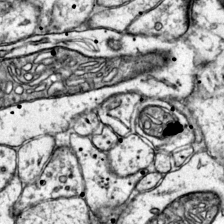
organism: Mouse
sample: Primary visual cortex